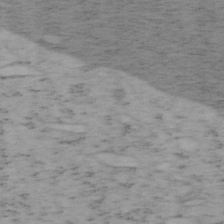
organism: Mouse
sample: OT-I killer T cells with ID8 ovarian cancer cells